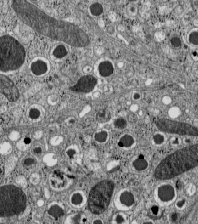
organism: C57BL Mouse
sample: Pancreatic islet